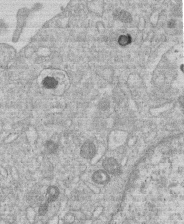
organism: Human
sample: Macrophage cells